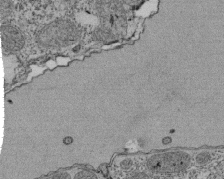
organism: Tetrahymena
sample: Cilia in tetrahymena